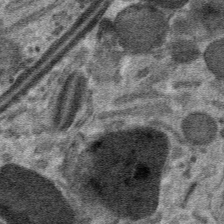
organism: Mouse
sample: Mouse hepatocytes